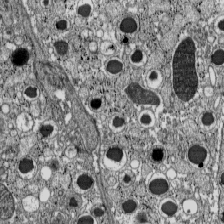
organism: C57BL Mouse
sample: Pancreatic islet